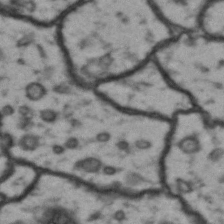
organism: Drosophila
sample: Brain